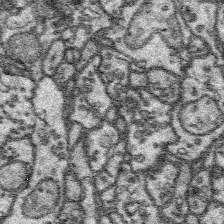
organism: Platynereis dumerilii